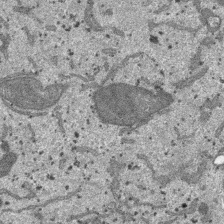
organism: Human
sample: Lung epithelial cells infected with SARS-CoV-2